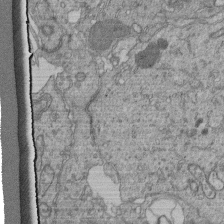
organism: Human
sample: Retinal organoid Rod and Cone cells